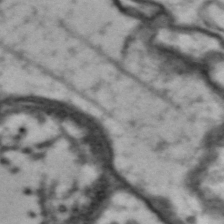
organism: Drosophila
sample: Brain